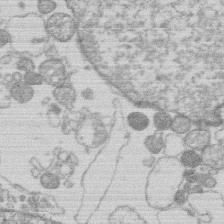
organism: Human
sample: Macrophage cells